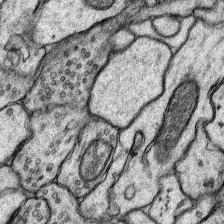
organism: Rat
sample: Hippocampus